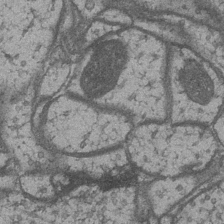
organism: Drosophila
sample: Optic medulla